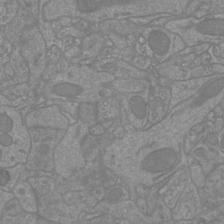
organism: Mouse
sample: Cortical neurons